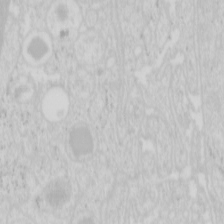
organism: Mouse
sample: Pancreas